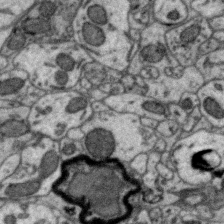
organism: Zebra finch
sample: Brain